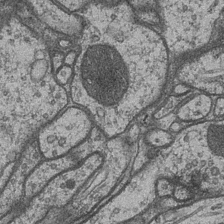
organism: Drosophila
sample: Optic medulla